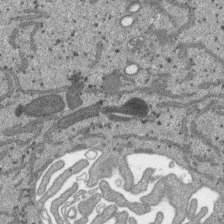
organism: Human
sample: Lung epithelial cells infected with SARS-CoV-2